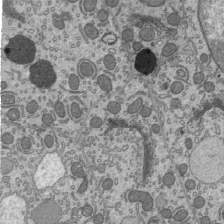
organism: Mouse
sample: Mouse epididymis efferent ductule cilia